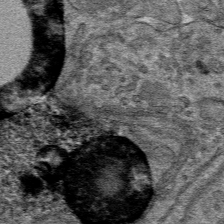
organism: Mouse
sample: Mouse hepatocytes